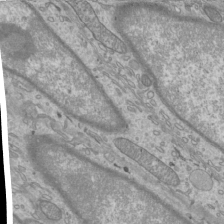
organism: Mouse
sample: Cilia; mouse epididymis